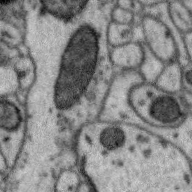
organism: Zebra finch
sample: Brain